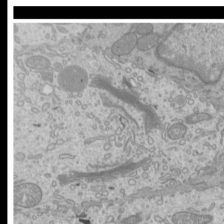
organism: Mouse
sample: Cilia; mouse epididymis